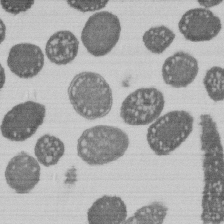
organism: E. coli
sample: Bacterial nucleoid